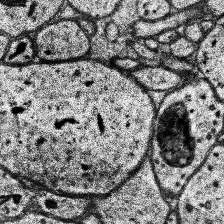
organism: Human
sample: Temporal Lobe